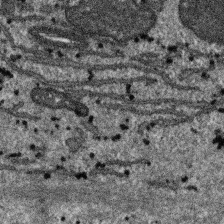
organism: Human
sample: Lung epithelial cells infected with SARS-CoV-2